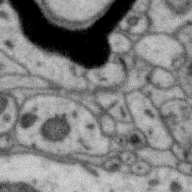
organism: Zebra finch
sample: Brain